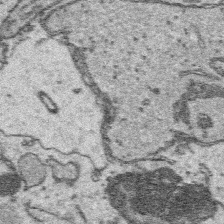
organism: Platynereis dumerilii